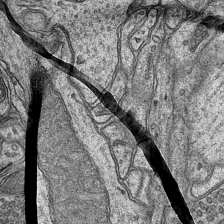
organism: Mouse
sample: CA1 Hippocampus